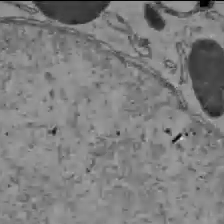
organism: C57BL Mouse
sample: Liver